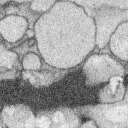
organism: Rabbit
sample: Retina